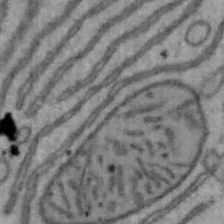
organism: Mouse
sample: Liver